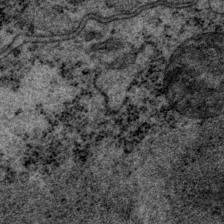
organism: P. pacificus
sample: Pharynx